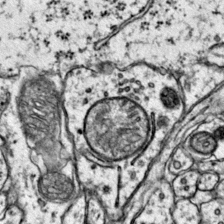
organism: Mouse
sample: Primary visual cortex